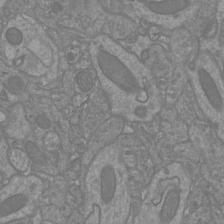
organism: Mouse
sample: Cortical neurons